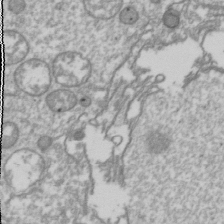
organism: Drosophila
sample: Cell division; meiosis; drosophila spermatocytes